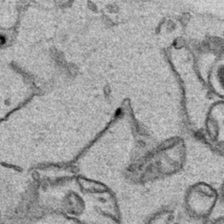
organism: Human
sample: Mitochondria in HCT116 cells